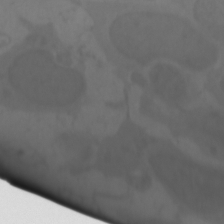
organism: Zebrafish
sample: Zebrafish embryo